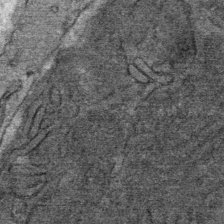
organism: Mouse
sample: Mouse Salivary gland